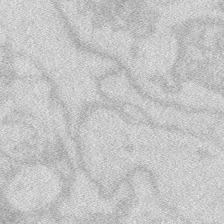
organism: Zebrafish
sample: Macrophage